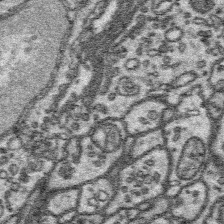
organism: Platynereis dumerilii